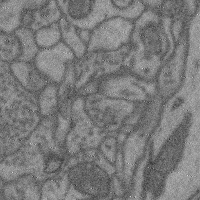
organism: Mouse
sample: Cerebral cortex